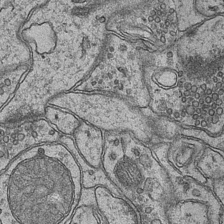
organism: Mouse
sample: CA1 Hippocampus